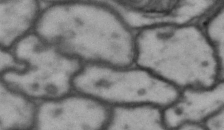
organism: Drosophila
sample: Brain